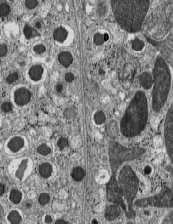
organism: C57BL Mouse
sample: Pancreatic islet